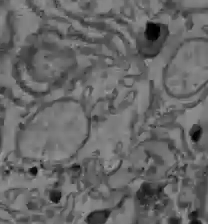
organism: C57BL Mouse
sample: Liver